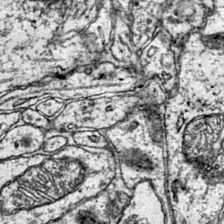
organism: Mouse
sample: Primary visual cortex